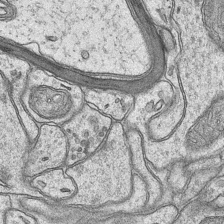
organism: Mouse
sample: CA1 Hippocampus